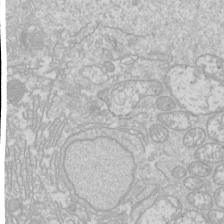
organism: Drosophila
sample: Cell division; meiosis; drosophila spermatocytes